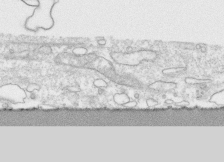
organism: Human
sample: CRL-1474